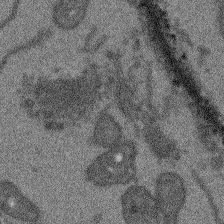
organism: Arabidopsis thaliana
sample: Root tip